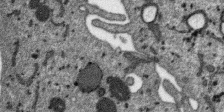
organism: Human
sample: Lung epithelial cells infected with SARS-CoV-2